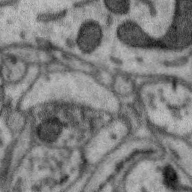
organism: Zebra finch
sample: Brain